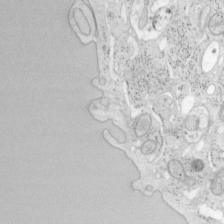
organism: Mouse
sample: OT-I killer T cells with ID8 ovarian cancer cells